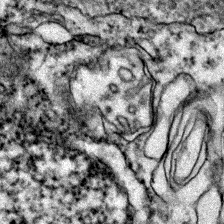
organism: Zebrafish